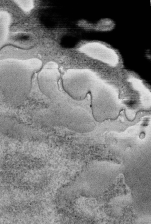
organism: Human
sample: Retinal organoid Rod and Cone cells